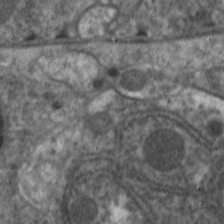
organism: C. elegans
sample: Pharynx